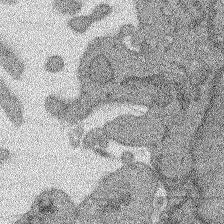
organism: Human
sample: HeLa cells